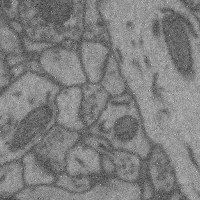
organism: Mouse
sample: Cerebral cortex